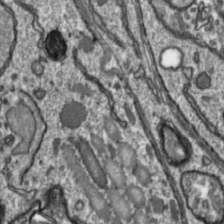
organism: Toxoplasma gondii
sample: Parasites in a vacuole inside a host cell